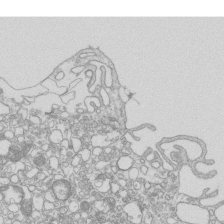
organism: Mouse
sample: Macrophages